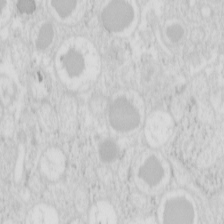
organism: Mouse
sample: Pancreas